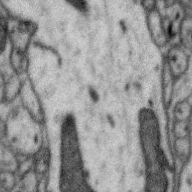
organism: Zebra finch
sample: Brain